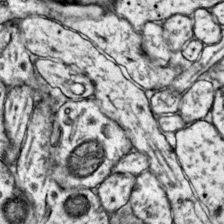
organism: Mouse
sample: Primary visual cortex